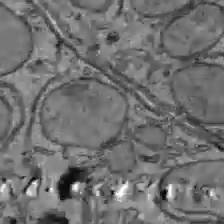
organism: C57BL Mouse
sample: Liver